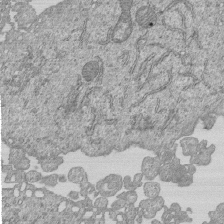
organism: Human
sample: MDA-MB-231 cells